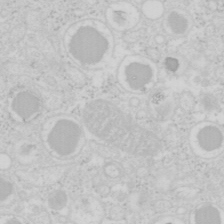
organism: Mouse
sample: Pancreas